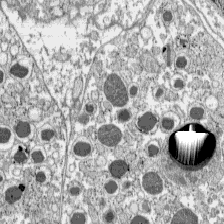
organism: C57BL Mouse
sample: Pancreatic islet